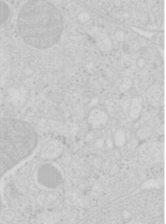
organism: Mouse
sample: Pancreas